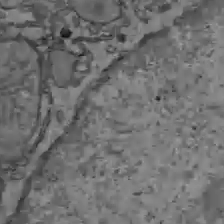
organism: C57BL Mouse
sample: Liver